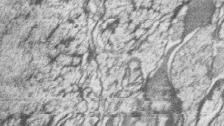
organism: Zebrafish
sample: synaptic ribbons in rod cells and cone cells